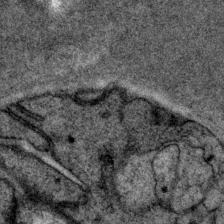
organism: P. pacificus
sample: Pharynx